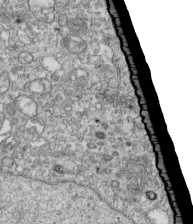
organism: Human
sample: HeLa cell HIV synapse